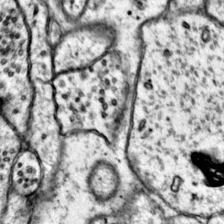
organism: Mouse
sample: Primary visual cortex